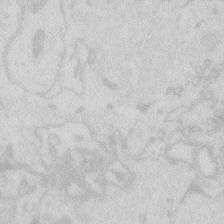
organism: Zebrafish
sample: Macrophage